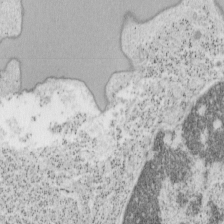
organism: Mouse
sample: OT-I killer T cells with ID8 ovarian cancer cells